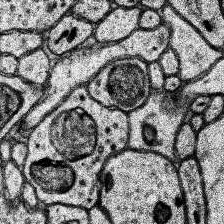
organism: Human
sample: Temporal Lobe